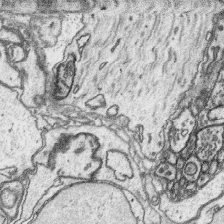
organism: Platynereis dumerilii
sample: Parapodia